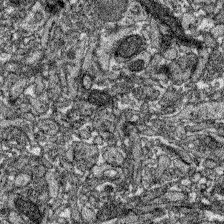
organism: Zebrafish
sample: Larval olfactory bulb